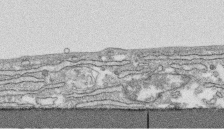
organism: Human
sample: CRL-1474